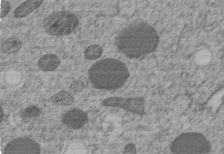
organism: C. elegans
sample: C. elegans embryo early stage